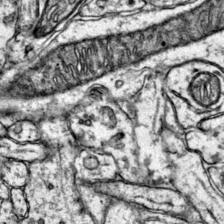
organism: Mouse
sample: Primary visual cortex